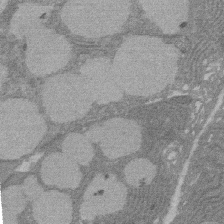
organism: Rat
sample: Salivary granule